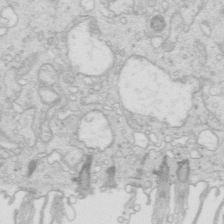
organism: Mouse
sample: Multiciliated cells